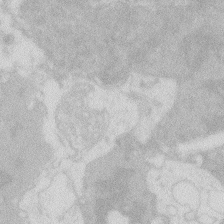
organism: Zebrafish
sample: Macrophage